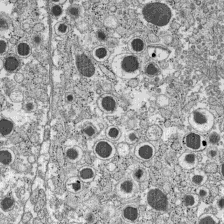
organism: C57BL Mouse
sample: Pancreatic islet